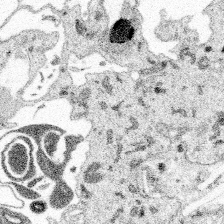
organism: Spongilla lacustris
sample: Multiple